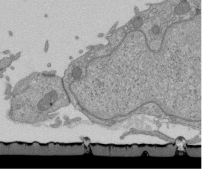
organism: Mouse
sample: ED-1 cell nuclei; centrioles